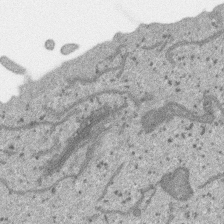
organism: Human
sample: Lung epithelial cells infected with SARS-CoV-2